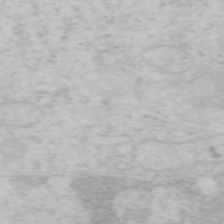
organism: Mouse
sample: OT-I killer T cells with ID8 ovarian cancer cells